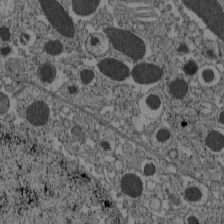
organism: C57BL Mouse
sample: Pancreatic islet